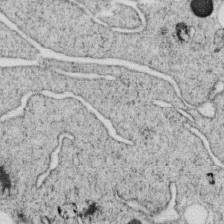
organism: C. elegans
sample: C. elegans oocyte; sperm cells